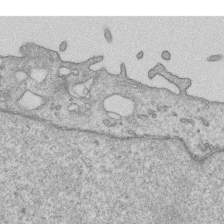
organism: Human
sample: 1205lu cells